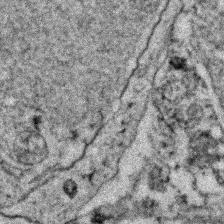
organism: Zebrafish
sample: Zebrafish embryo